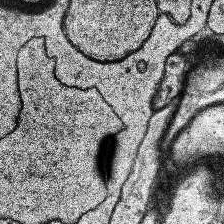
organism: Human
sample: Temporal Lobe